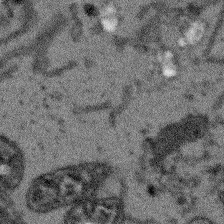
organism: Arabidopsis thaliana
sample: Root tip